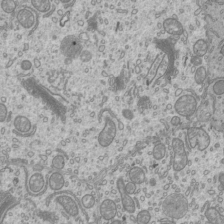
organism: Mouse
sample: Cilia; mouse epididymis